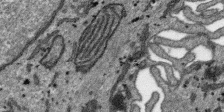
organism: Human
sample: Lung epithelial cells, uninfected (mock) control